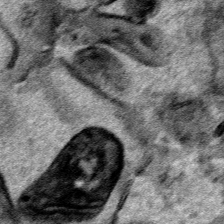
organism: Human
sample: Mitochondria in HCT116 cells